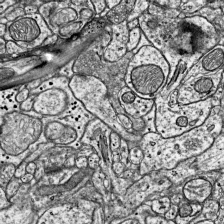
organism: Mouse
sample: Visual Cortex